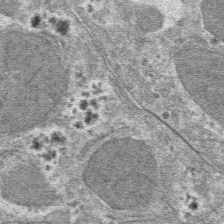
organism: Mouse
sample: Mouse hepatocytes